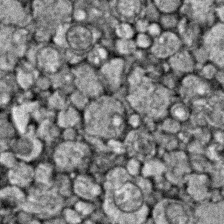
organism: Zebrafish